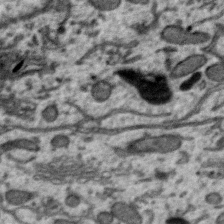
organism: Zebra finch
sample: Brain